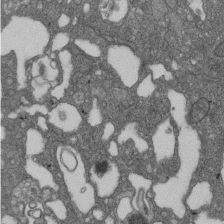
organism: Drosophila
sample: Nephrocyte